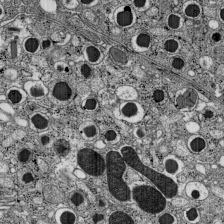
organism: C57BL Mouse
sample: Pancreatic islet